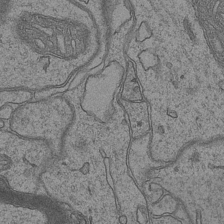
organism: Mouse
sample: CA1 Hippocampus